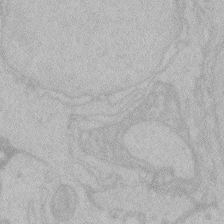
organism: Zebrafish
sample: Macrophage infected with Toxoplasma gondii